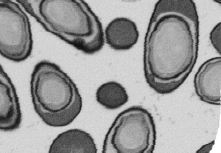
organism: B. subtilis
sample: Bacterial spore